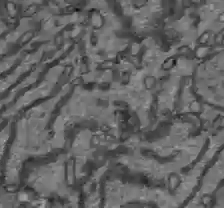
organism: C57BL Mouse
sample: Liver